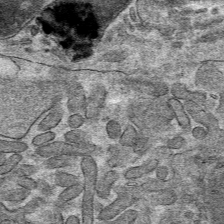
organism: Mouse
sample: Mouse hepatocytes